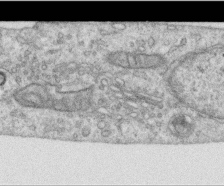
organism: Human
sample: Centriole in RPE cells